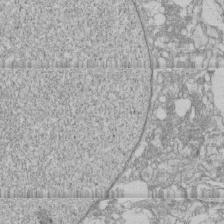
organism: Human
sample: CRL-1474